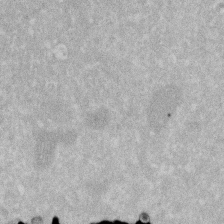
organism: Human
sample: HIV infected U937 cells